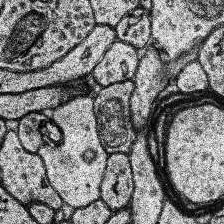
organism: Human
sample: Temporal Lobe